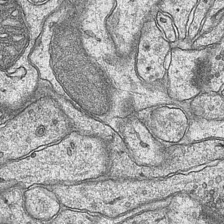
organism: Mouse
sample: CA1 Hippocampus